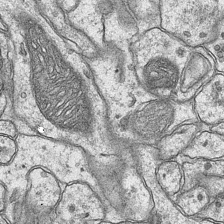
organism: Mouse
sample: CA1 Hippocampus